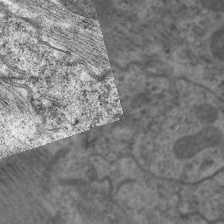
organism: C. elegans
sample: Pharynx